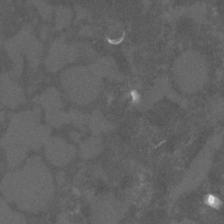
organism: C. elegans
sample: C. elegans embryo